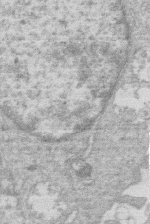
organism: Human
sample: Macrophage cells